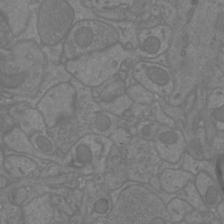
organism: Mouse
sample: Cortical neurons